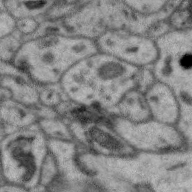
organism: Zebra finch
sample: Brain